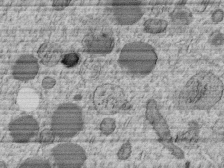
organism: C. elegans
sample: C. elegans embryo early stage